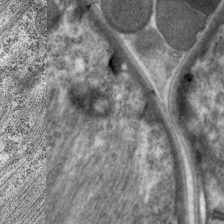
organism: C. elegans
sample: Pharynx